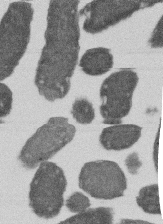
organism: E. coli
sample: Bacterial nucleoid